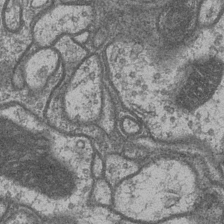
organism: Drosophila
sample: Optic medulla